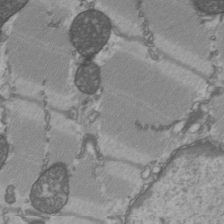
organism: C57BL Mouse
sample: Heart